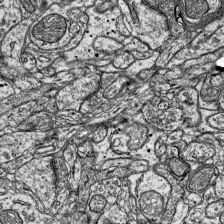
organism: Mouse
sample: Visual Cortex